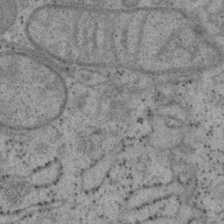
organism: Human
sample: HeLa cells